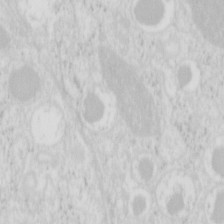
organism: Mouse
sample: Pancreas